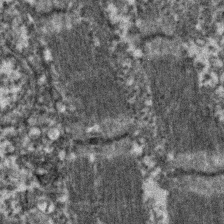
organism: Zebrafish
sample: Zebrafish embryo